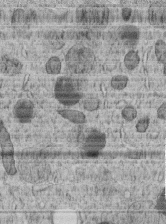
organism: C. elegans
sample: C. elegans embryo early stage